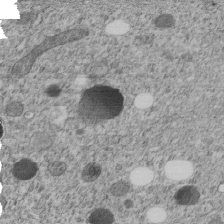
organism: C. elegans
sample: C. elegans embryo early stage